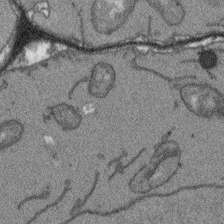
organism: Arabidopsis thaliana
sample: Root tip